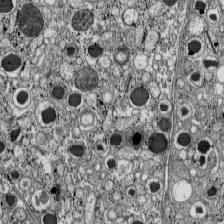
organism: C57BL Mouse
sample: Pancreatic islet